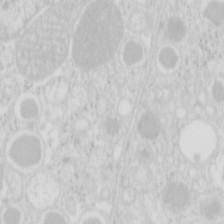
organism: Mouse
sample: Pancreas